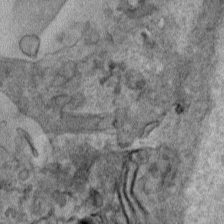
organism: Human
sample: Mitochondria in HCT116 cells